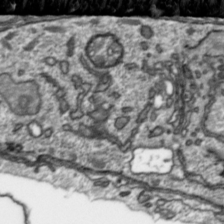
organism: Toxoplasma gondii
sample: Parasites in a vacuole inside a host cell